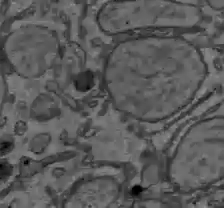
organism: C57BL Mouse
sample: Liver